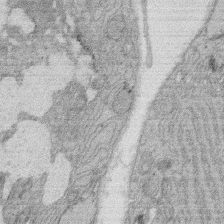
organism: Rat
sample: Salivary granule